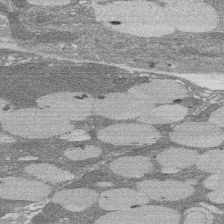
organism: Rat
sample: Salivary granule